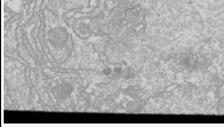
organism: Drosophila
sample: Cell division; meiosis; drosophila spermatocytes